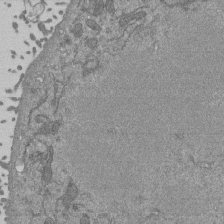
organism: Mouse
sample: ED-1 cell nuclei; centrioles